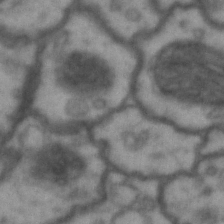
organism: Drosophila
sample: Brain